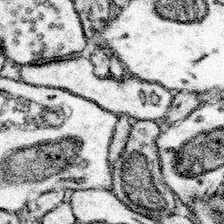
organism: Mouse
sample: Somatosensory cortex neuropil